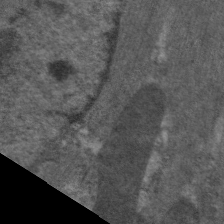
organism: C. elegans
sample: Pharynx